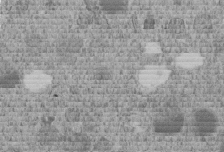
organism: C. elegans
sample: C. elegans embryo early stage